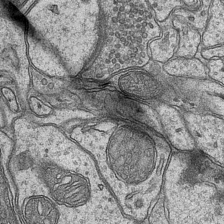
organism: Mouse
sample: CA1 Hippocampus